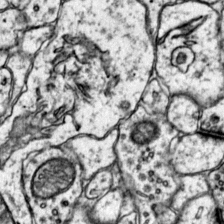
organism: Mouse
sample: Primary visual cortex